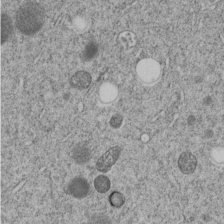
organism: C. elegans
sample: C. elegans embryo early stage